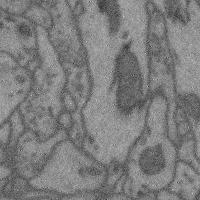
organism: Mouse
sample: Cerebral cortex